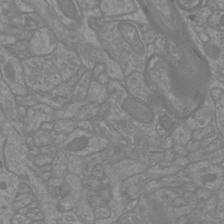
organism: Mouse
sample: Cortical neurons